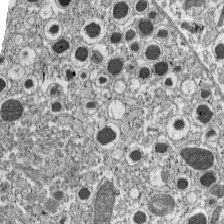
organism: C57BL Mouse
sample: Pancreatic islet